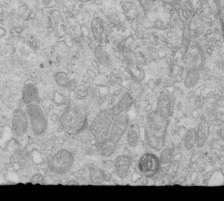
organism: Mouse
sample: Multiciliated cells